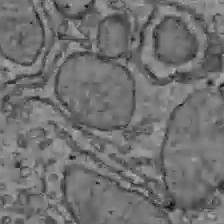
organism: C57BL Mouse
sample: Liver